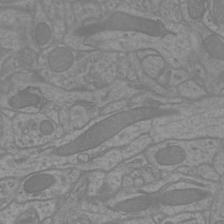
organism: Mouse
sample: Cortical neurons